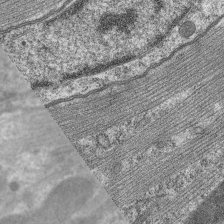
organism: C. elegans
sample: Pharynx